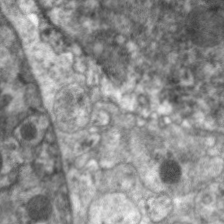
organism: C. elegans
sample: Pharynx